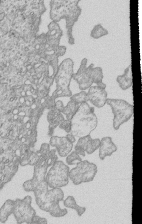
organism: Human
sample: MDA-MB-231 cells